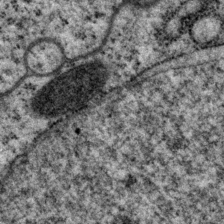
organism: P. pacificus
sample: Pharynx